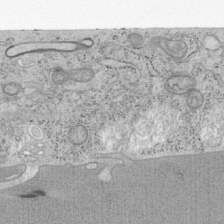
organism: Human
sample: HeLa cells